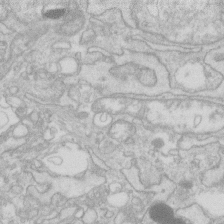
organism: Human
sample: Fibroblast cells